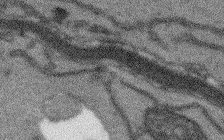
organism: Arabidopsis thaliana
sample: Root tip